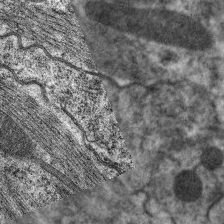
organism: C. elegans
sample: Pharynx